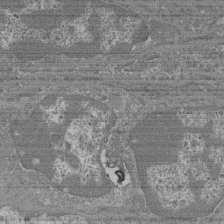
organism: Mouse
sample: Glomerulus